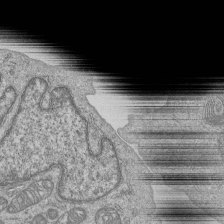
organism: Human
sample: MDA-MB-231 cells